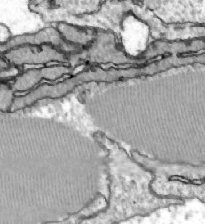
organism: Zebrafish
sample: Actinotrichia fibers